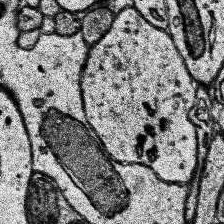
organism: Human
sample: Temporal Lobe